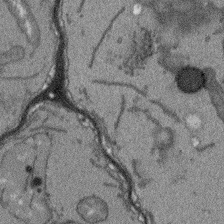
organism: Arabidopsis thaliana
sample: Root tip